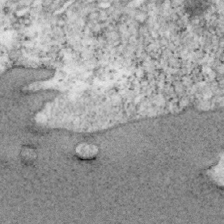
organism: Mouse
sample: OT-I killer T cells with ID8 ovarian cancer cells